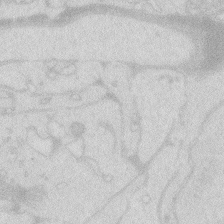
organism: Zebrafish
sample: Macrophage